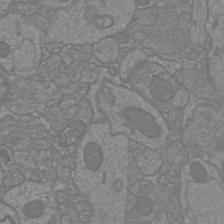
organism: Mouse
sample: Cortical neurons